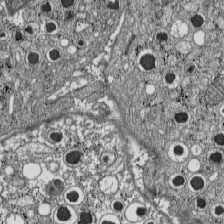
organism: C57BL Mouse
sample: Pancreatic islet